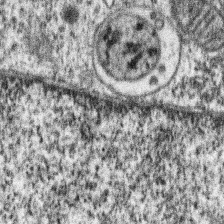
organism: Human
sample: HeLa cells